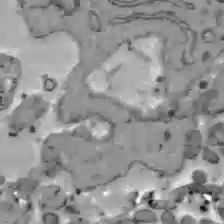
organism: C57BL Mouse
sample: Liver